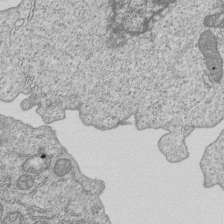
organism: Human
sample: MDA-MB-231 cells